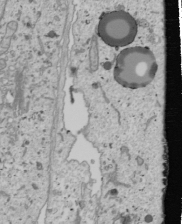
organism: Human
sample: Mitochondria in U2OS cells